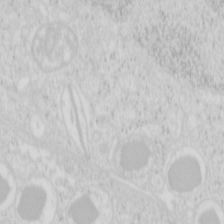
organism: Mouse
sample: Pancreas